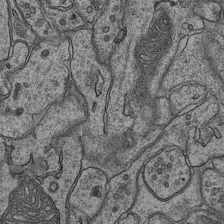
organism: Mouse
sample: CA1 Hippocampus